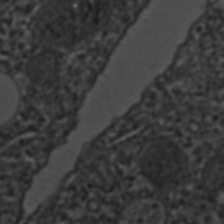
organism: C. elegans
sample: C. elegans embryo